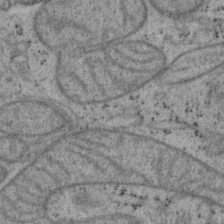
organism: Human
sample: HeLa cells